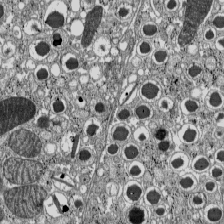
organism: C57BL Mouse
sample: Pancreatic islet